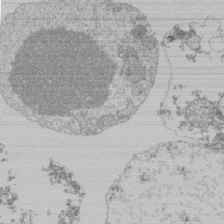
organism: Mouse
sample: Activated Pmel transgenic CD8+ T Cells